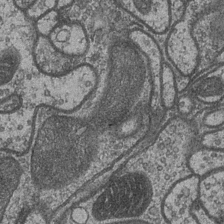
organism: Drosophila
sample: Optic medulla